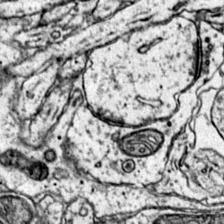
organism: Mouse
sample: Primary visual cortex